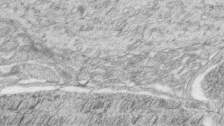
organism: Zebrafish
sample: synaptic ribbons in rod cells and cone cells